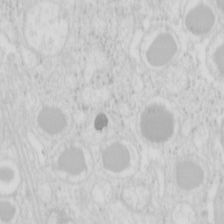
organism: Mouse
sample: Pancreas